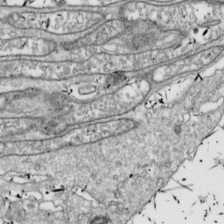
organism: Drosophila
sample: Cell division; meiosis; drosophila spermatocytes